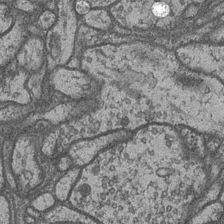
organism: Drosophila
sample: Optic medulla